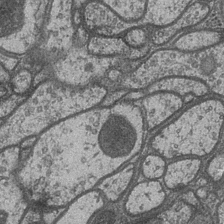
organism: Drosophila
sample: Optic medulla